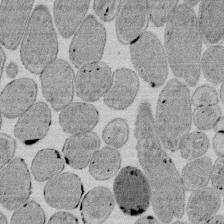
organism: E. coli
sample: Bacterial nucleoid